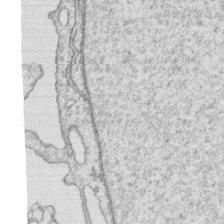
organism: Human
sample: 1205lu cells